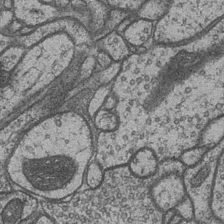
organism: Drosophila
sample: Optic medulla